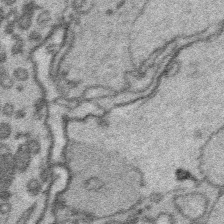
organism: Platynereis dumerilii